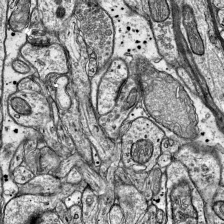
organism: Mouse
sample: Visual Cortex